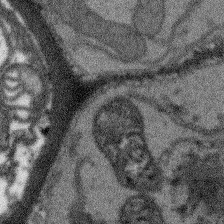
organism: Arabidopsis thaliana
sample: Root tip